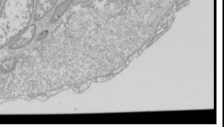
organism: Drosophila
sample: Cell division; meiosis; drosophila spermatocytes